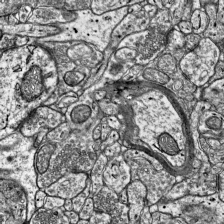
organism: Mouse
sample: Visual Cortex